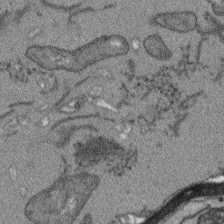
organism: Arabidopsis thaliana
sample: Root tip